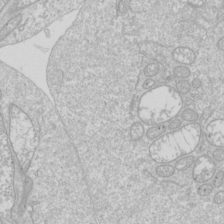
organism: Drosophila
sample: Cell division; meiosis; drosophila spermatocytes